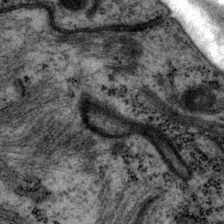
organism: P. pacificus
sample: Pharynx